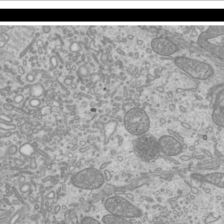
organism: Mouse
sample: Cilia; mouse epididymis